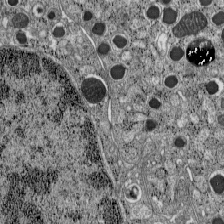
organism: C57BL Mouse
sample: Pancreatic islet